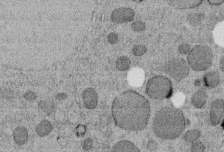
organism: C. elegans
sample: C. elegans embryo early stage